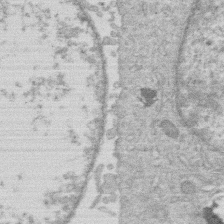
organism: Human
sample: Macrophage cells